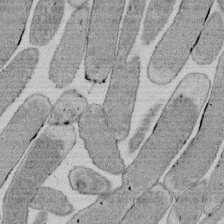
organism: E. coli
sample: Bacterial nucleoid